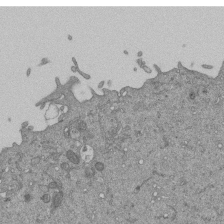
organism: Mouse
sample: ED-1 cell nuclei; centrioles